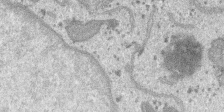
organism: Human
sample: Lung epithelial cells infected with SARS-CoV-2